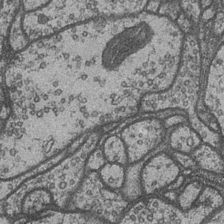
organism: Drosophila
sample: Optic medulla